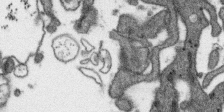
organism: Human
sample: Lung epithelial cells, uninfected (mock) control